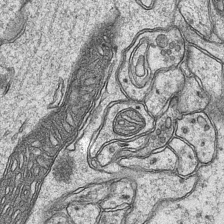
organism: Mouse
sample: CA1 Hippocampus